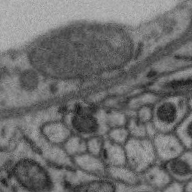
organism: Zebra finch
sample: Brain